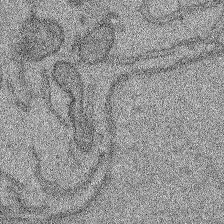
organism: Human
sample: HeLa cells